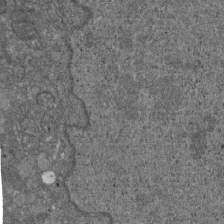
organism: Drosophila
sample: Nephrocyte